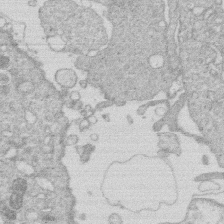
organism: Human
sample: Macrophage cells